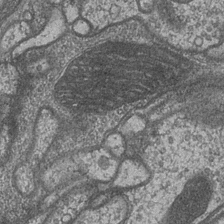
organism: Drosophila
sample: Optic medulla